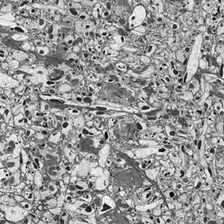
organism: Drosophila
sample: Optic lobe